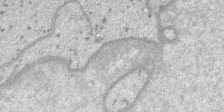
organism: Human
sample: Lung epithelial cells infected with SARS-CoV-2